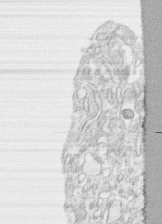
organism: Human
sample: CRL-1474